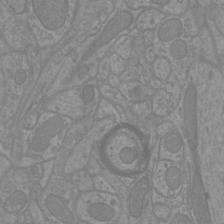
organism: Mouse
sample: Cortical neurons